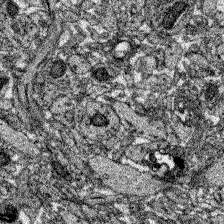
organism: Zebrafish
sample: Larval olfactory bulb